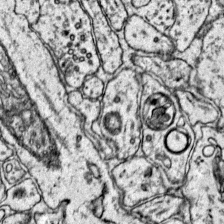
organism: Mouse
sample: Primary visual cortex